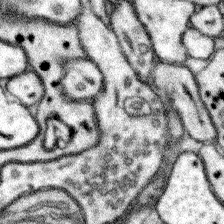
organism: Mouse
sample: Somatosensory cortex neuropil